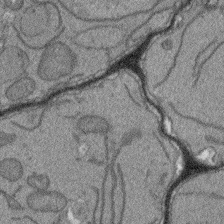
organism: Arabidopsis thaliana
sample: Root tip